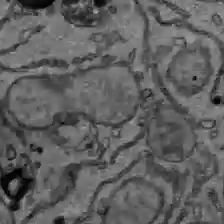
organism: C57BL Mouse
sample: Liver